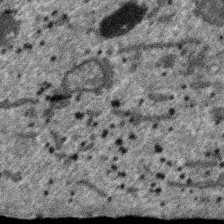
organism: Human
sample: Lung epithelial cells infected with SARS-CoV-2